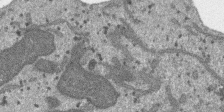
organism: Human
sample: Lung epithelial cells infected with SARS-CoV-2